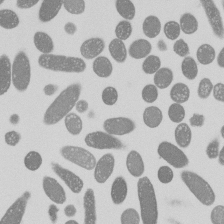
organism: E. coli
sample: Bacterial nucleoid